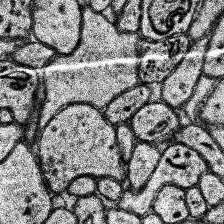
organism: Human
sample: Temporal Lobe